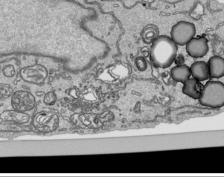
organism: Human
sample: Mitochondria in HCT116 cells